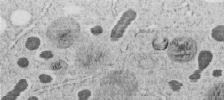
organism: C. elegans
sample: C. elegans embryo early stage